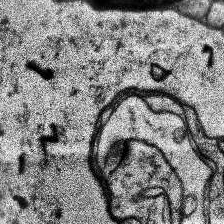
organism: Human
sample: Temporal Lobe